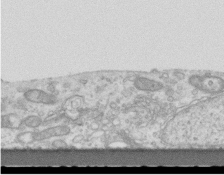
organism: Mouse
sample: Centriole in ependymal cells